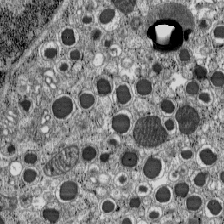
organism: C57BL Mouse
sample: Pancreatic islet